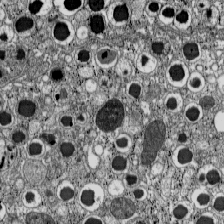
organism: C57BL Mouse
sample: Pancreatic islet